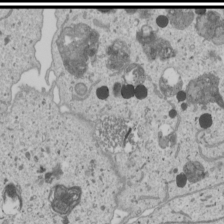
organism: Human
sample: Mitochondria in U2OS cells